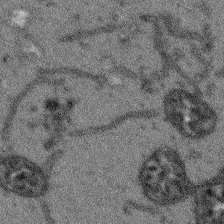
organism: Arabidopsis thaliana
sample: Root tip